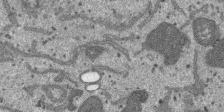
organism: Human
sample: Lung epithelial cells infected with SARS-CoV-2